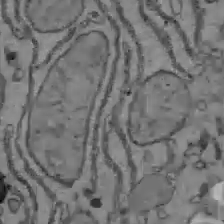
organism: C57BL Mouse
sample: Liver